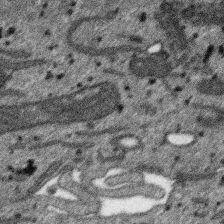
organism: Human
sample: Lung epithelial cells infected with SARS-CoV-2